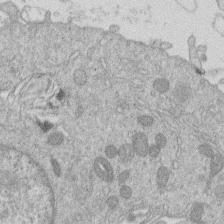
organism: Human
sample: Macrophage cells